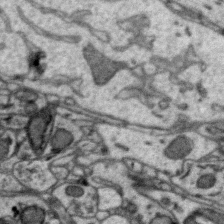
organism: Zebra finch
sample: Brain